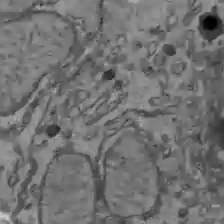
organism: C57BL Mouse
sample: Liver